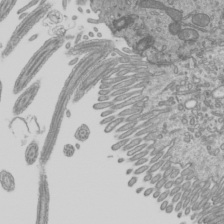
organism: Mouse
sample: Cilia; mouse epididymis